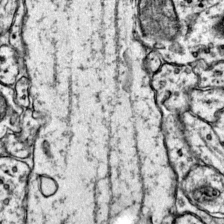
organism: Mouse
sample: Primary visual cortex